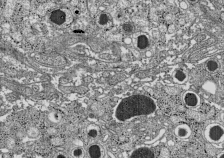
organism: C57BL Mouse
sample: Pancreatic islet